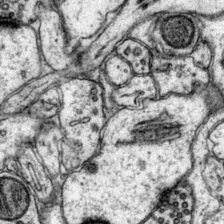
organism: Mouse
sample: Primary visual cortex